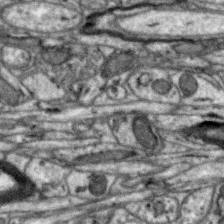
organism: Zebra finch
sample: Brain